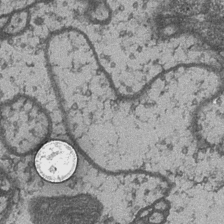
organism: Drosophila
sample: Optic medulla